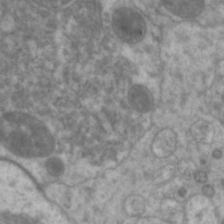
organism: C. elegans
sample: Pharynx